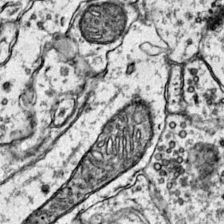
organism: Mouse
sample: Primary visual cortex